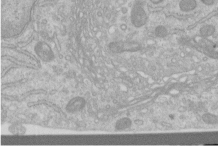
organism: Human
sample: Centriole in RPE cells